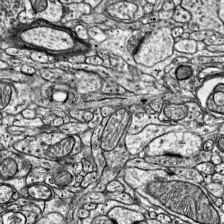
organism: Mouse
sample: Visual Cortex